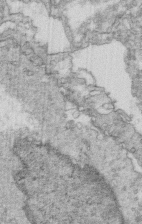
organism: Mouse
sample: Multiciliated cells